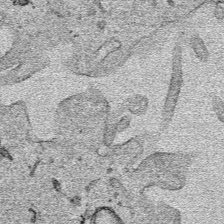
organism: Human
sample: Mitochondria in HCT116 cells